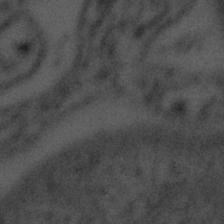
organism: Tuwongella immobilis